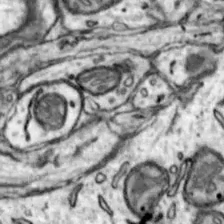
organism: Mouse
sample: Nucleus accumbens